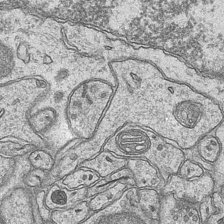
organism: Mouse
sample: CA1 Hippocampus